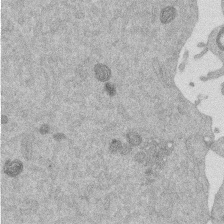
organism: Mouse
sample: Dividing mouse embryo 1 cell stage